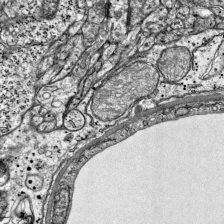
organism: Mouse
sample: Visual Cortex